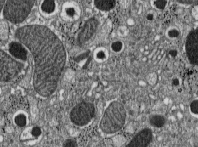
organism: C57BL Mouse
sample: Pancreatic islet